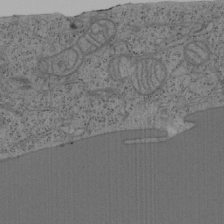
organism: Human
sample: HeLa cells